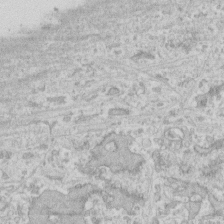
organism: Human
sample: Fibroblast cells